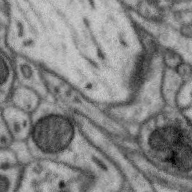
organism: Zebra finch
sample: Brain